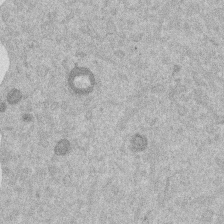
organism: Mouse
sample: Dividing mouse embryo 1 cell stage